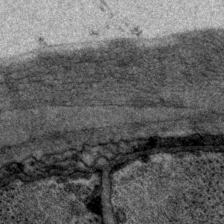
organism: P. pacificus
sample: Pharynx